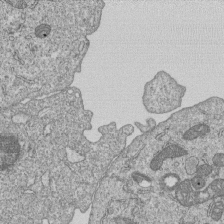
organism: Human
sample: MDA-MB-231 cells